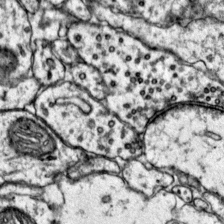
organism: Mouse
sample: Primary visual cortex